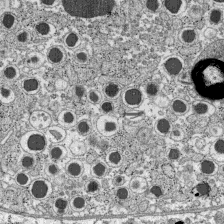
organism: C57BL Mouse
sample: Pancreatic islet